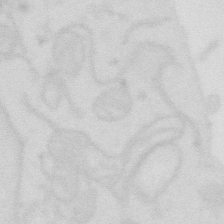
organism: Human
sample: HeLa cells